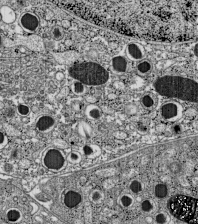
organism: C57BL Mouse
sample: Pancreatic islet